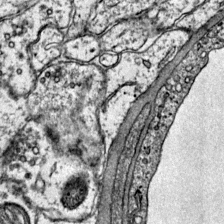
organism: Mouse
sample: Primary visual cortex